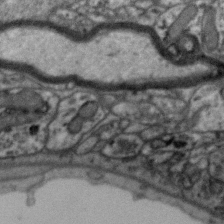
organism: Zebra finch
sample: Brain